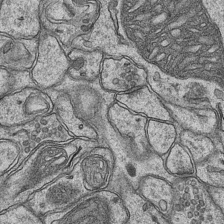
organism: Mouse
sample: CA1 Hippocampus